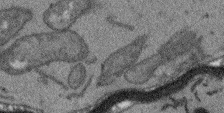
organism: Arabidopsis thaliana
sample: Root tip